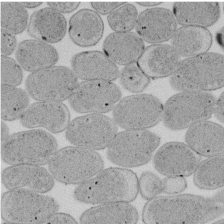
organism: E. coli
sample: Bacterial nucleoid